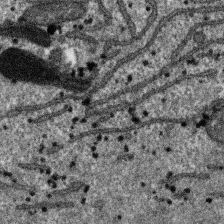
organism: Human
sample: Lung epithelial cells infected with SARS-CoV-2